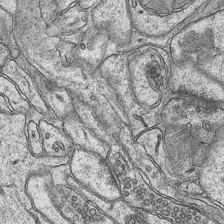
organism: Mouse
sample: CA1 Hippocampus